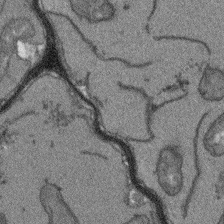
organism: Arabidopsis thaliana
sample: Root tip